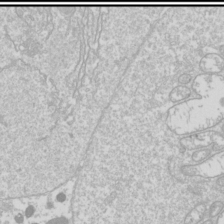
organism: Drosophila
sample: Cell division; meiosis; drosophila spermatocytes